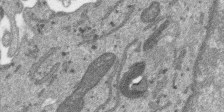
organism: Human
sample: Lung epithelial cells infected with SARS-CoV-2